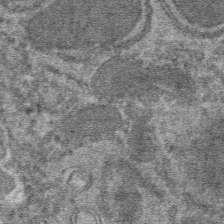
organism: Mouse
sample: Mouse hepatocytes